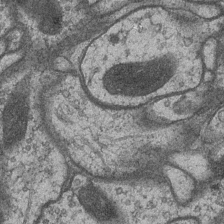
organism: Drosophila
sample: Optic medulla